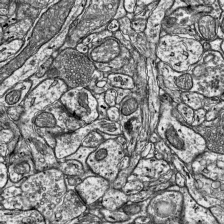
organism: Mouse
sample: Visual Cortex